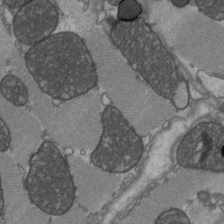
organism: C57BL Mouse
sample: Heart